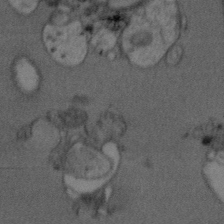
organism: Human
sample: HeLa cells